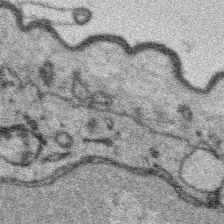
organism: Platynereis dumerilii